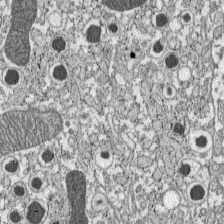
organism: C57BL Mouse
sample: Pancreatic islet